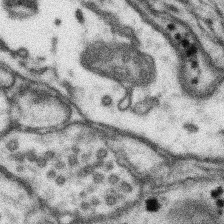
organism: Mouse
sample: Somatosensory cortex neuropil